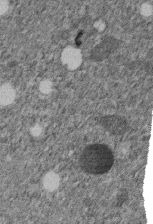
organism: C. elegans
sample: C. elegans embryo early stage